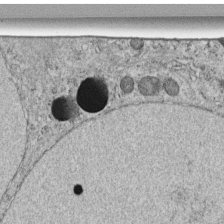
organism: C. elegans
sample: C. elegans embryo early stage